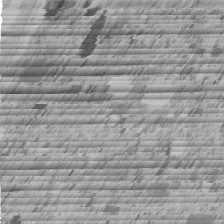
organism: C. elegans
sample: C. elegans embryo early stage